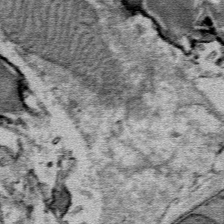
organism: Mouse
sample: Mouse Salivary gland